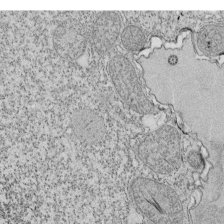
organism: Tetrahymena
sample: Cilia in tetrahymena